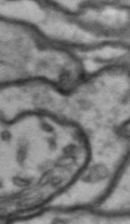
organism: Drosophila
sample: Brain